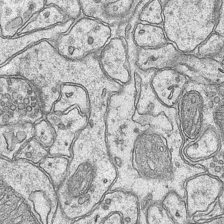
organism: Mouse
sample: CA1 Hippocampus